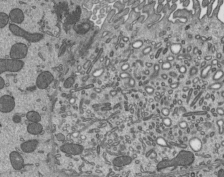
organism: Mouse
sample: Mouse epididymis efferent ductule cilia